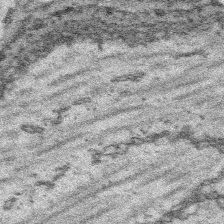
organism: Platynereis dumerilii